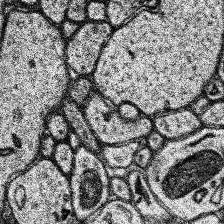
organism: Human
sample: Temporal Lobe